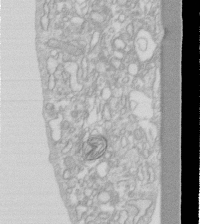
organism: Human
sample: Fibroblast cells